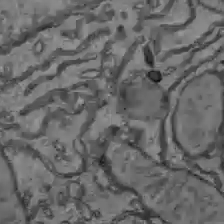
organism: C57BL Mouse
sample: Liver